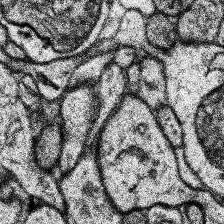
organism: Human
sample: Temporal Lobe